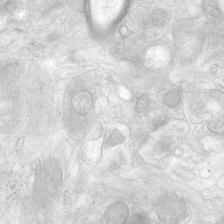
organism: Human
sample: Neocortex